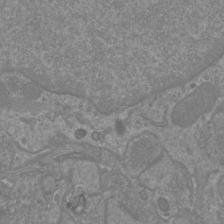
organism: Mouse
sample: Cortical neurons